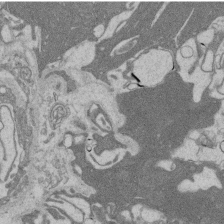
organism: Rat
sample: Salivary granule